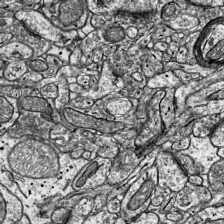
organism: Mouse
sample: Visual Cortex